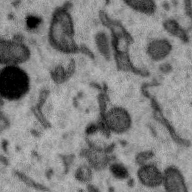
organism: Zebra finch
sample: Brain